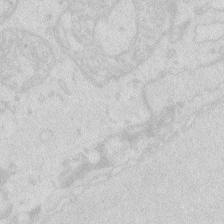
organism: Zebrafish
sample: Macrophage